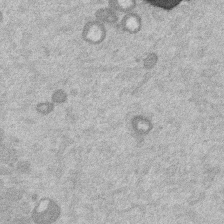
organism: Mouse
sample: Dividing mouse embryo 1 cell stage